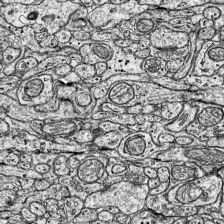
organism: Mouse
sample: Visual Cortex